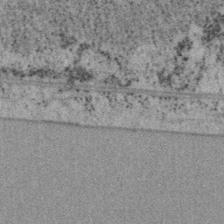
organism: Human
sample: HeLa cells